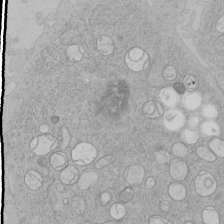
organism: Human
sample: Mitochondria in HCT116 cells